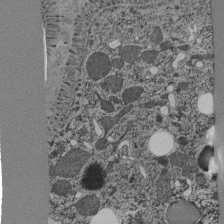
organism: C. elegans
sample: C. elegans pharynx